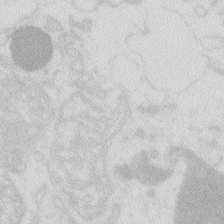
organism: Zebrafish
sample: Macrophage